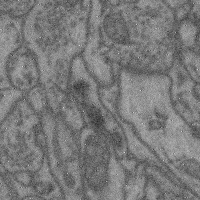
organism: Mouse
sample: Cerebral cortex